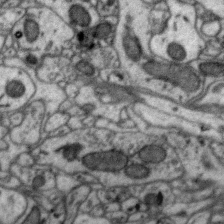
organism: Zebra finch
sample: Brain